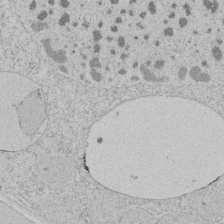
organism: Tetrahymena